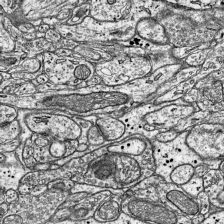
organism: Mouse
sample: Visual Cortex